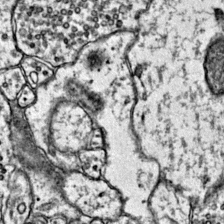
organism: Mouse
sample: Primary visual cortex